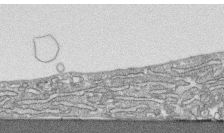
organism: Human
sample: CRL-1474